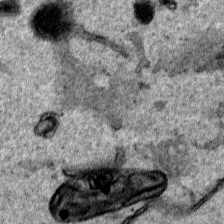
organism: Human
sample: Mitochondria in HCT116 cells